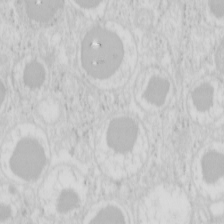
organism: Mouse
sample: Pancreas